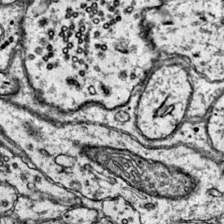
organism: Mouse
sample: Primary visual cortex